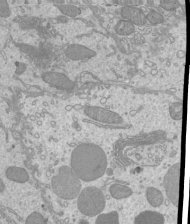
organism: Mouse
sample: Cilia; mouse epididymis